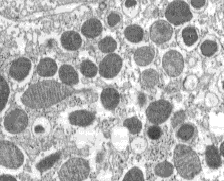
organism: C57BL Mouse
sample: Pancreatic islet